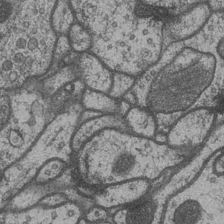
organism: Drosophila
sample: Optic medulla